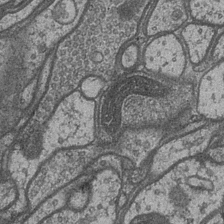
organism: Drosophila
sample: Optic medulla